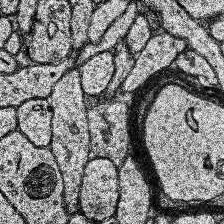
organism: Human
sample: Temporal Lobe